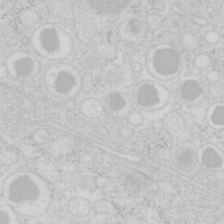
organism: Mouse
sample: Pancreas